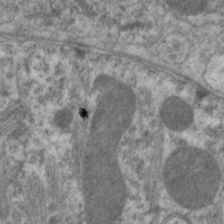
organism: C. elegans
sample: Pharynx